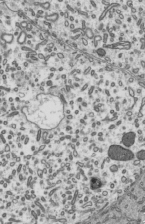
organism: Mouse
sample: Mouse epididymis efferent ductule cilia